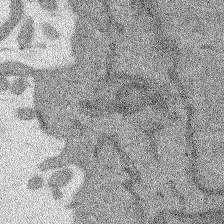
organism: Human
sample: HeLa cells